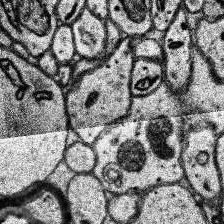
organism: Human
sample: Temporal Lobe